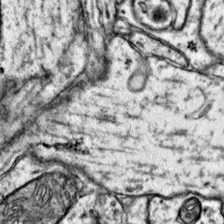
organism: Mouse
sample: Primary visual cortex